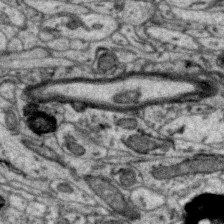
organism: Zebra finch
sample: Brain